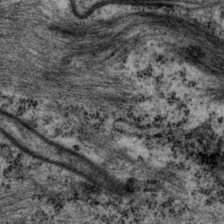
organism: P. pacificus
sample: Pharynx